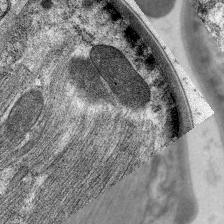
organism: C. elegans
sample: Pharynx